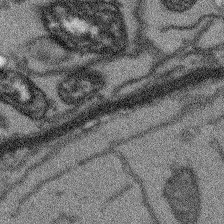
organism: Arabidopsis thaliana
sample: Root tip